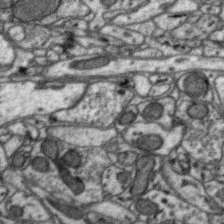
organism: Zebra finch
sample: Brain